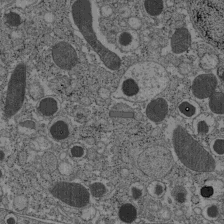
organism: C57BL Mouse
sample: Pancreatic islet